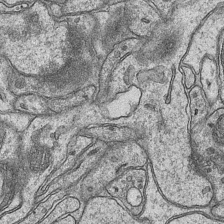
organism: Mouse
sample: CA1 Hippocampus